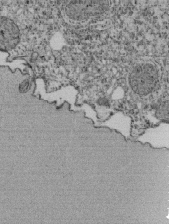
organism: Tetrahymena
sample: Cilia in tetrahymena